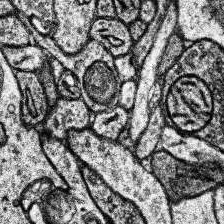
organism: Human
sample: Temporal Lobe